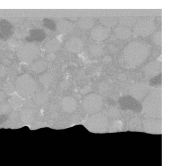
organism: C. elegans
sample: C. elegans oocyte; sperm cells